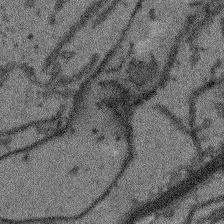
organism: Arabidopsis thaliana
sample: Root tip